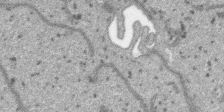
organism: Human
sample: Lung epithelial cells infected with SARS-CoV-2